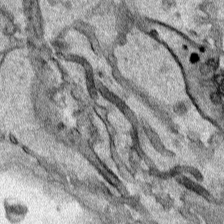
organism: Human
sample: Mitochondria in HCT116 cells